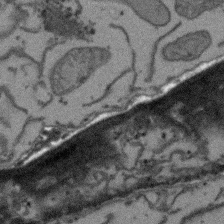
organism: Arabidopsis thaliana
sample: Root tip